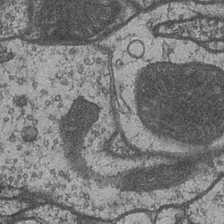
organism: Drosophila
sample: Optic medulla